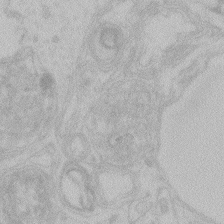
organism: Zebrafish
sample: Macrophage infected with Toxoplasma gondii